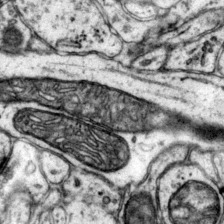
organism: Mouse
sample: Primary visual cortex